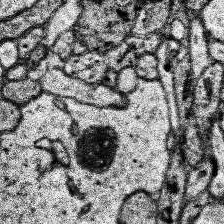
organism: Human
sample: Temporal Lobe